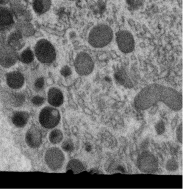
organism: C. elegans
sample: C. elegans oocyte; sperm cells